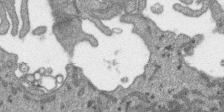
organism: Human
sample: Lung epithelial cells infected with SARS-CoV-2